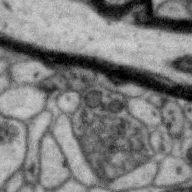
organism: Zebra finch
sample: Brain